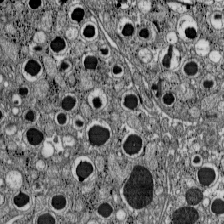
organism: C57BL Mouse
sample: Pancreatic islet